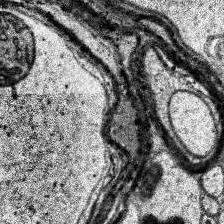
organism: Human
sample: Temporal Lobe